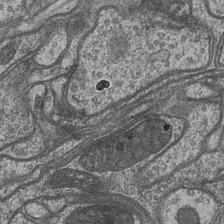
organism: Drosophila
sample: Optic medulla